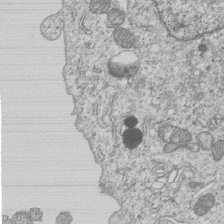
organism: Human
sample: MDA-MB-231 cells